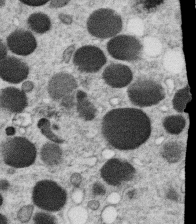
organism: C. elegans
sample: C. elegans oocyte; sperm cells